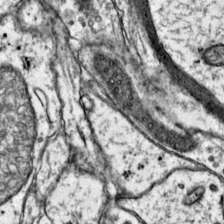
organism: Mouse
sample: Primary visual cortex